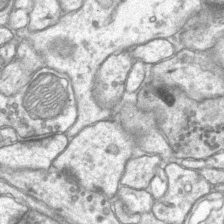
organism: Mouse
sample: CA1 Hippocampus